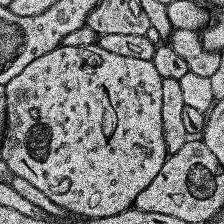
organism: Human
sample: Temporal Lobe